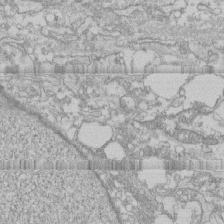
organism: Human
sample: CRL-1474